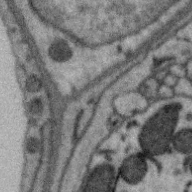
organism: Zebra finch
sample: Brain